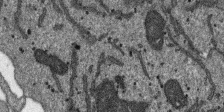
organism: Human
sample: Lung epithelial cells infected with SARS-CoV-2